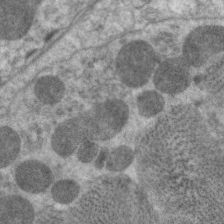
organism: C. elegans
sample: Pharynx